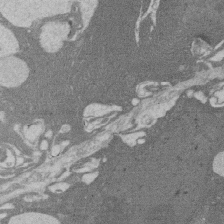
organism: Rat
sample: Salivary granule